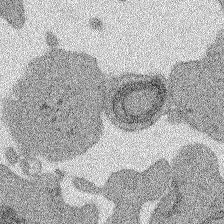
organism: Human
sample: HeLa cells